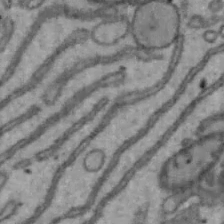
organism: Mouse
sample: Liver